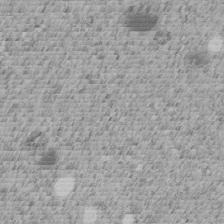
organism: C. elegans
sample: C. elegans embryo early stage